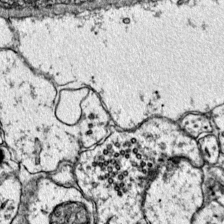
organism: Mouse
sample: Primary visual cortex